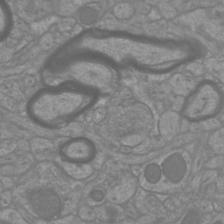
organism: Mouse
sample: Cortical neurons